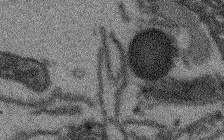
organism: Arabidopsis thaliana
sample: Root tip